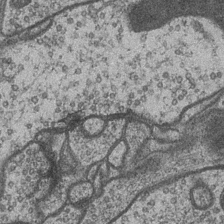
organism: Drosophila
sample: Optic medulla